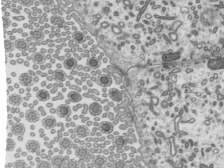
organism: Mouse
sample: Mouse epididymis efferent ductule cilia